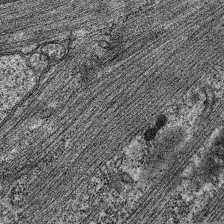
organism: C. elegans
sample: Pharynx